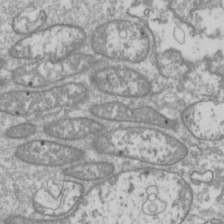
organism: Drosophila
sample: Cell division; meiosis; drosophila spermatocytes